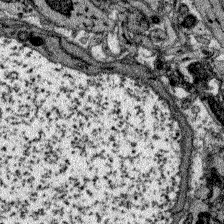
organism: Zebrafish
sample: Larval olfactory bulb